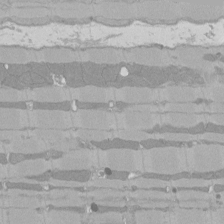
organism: Rat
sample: Left ventricle